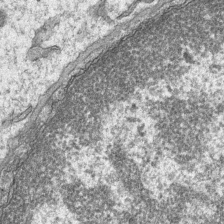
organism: Mouse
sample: CA1 Hippocampus